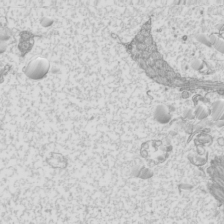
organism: Mouse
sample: Cilia; mouse epididymis